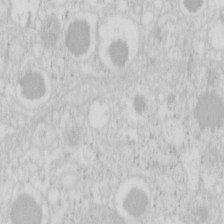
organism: Mouse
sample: Pancreas